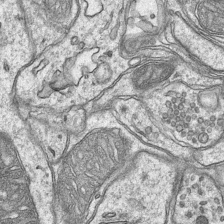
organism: Mouse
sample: CA1 Hippocampus